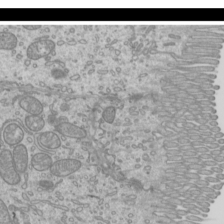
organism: Mouse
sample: Cilia; mouse epididymis